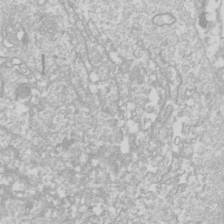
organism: Drosophila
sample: Cell division; meiosis; drosophila spermatocytes